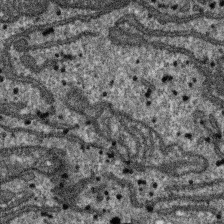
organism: Human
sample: Lung epithelial cells infected with SARS-CoV-2